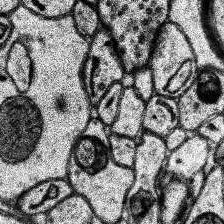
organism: Human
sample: Temporal Lobe